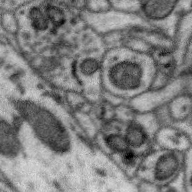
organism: Zebra finch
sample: Brain